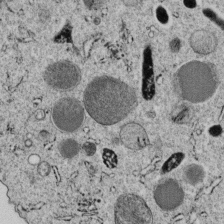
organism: C. elegans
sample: C. elegans embryo early stage